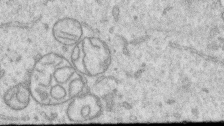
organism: Human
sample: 1205lu cells